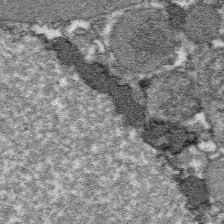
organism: Platynereis dumerilii